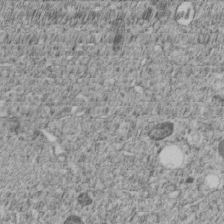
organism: C. elegans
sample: C. elegans embryo early stage